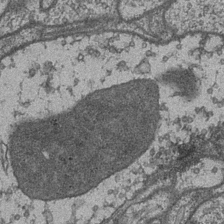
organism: Drosophila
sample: Optic medulla